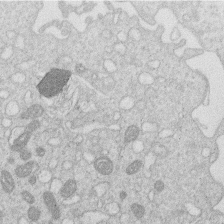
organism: Human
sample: Macrophage cells